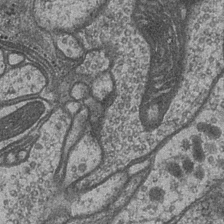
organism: Drosophila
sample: Optic medulla